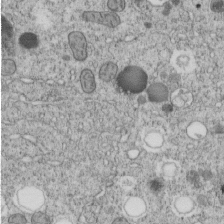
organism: C. elegans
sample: C. elegans embryo early stage